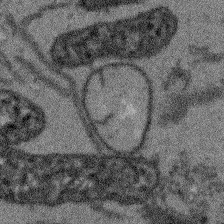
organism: Arabidopsis thaliana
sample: Root tip